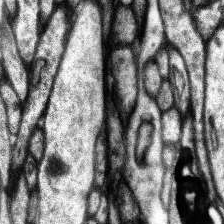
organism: Human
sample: Temporal Lobe